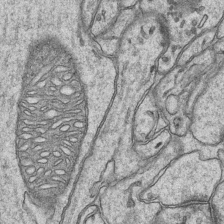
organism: Mouse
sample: CA1 Hippocampus